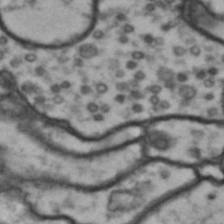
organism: Drosophila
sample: Brain